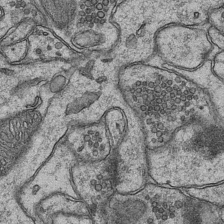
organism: Mouse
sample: CA1 Hippocampus